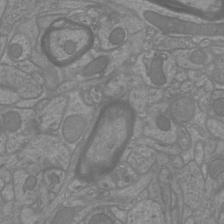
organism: Mouse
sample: Cortical neurons